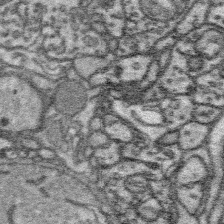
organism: Platynereis dumerilii